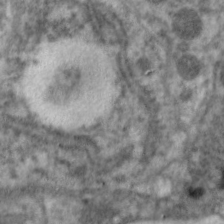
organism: C. elegans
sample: Pharynx